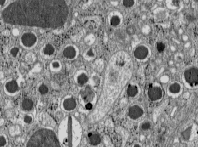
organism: C57BL Mouse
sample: Pancreatic islet